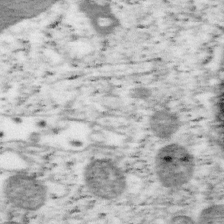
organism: Mouse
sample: OT-I killer T cells with ID8 ovarian cancer cells